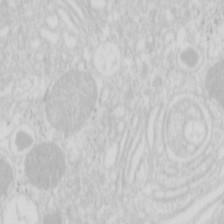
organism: Mouse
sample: Pancreas